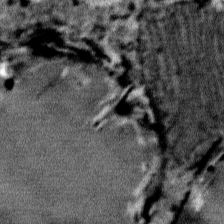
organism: Mouse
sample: Mouse Salivary gland